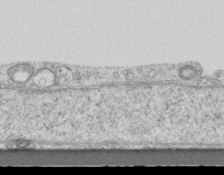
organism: Mouse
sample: Centriole in ependymal cells